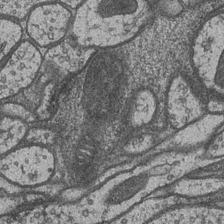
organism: Drosophila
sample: Optic medulla